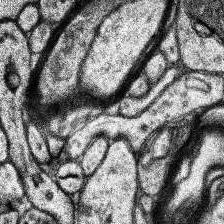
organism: Human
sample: Temporal Lobe